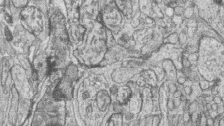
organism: Zebrafish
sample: synaptic ribbons in rod cells and cone cells